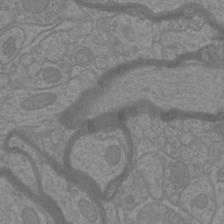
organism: Mouse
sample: Cortical neurons